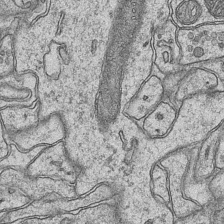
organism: Mouse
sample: CA1 Hippocampus